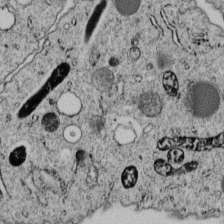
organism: C. elegans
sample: C. elegans embryo early stage